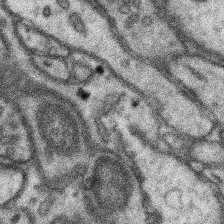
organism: Mouse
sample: Somatosensory cortex neuropil